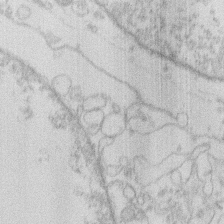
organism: Human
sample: Macrophage cells